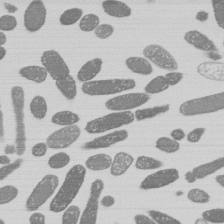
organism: E. coli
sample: Bacterial nucleoid